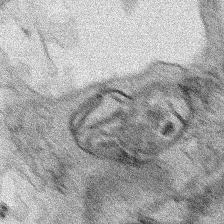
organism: Human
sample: Mitochondria in HCT116 cells